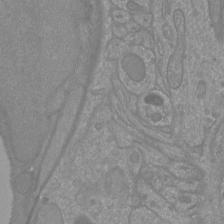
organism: Mouse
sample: Cortical neurons